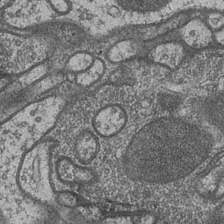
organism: Drosophila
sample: Optic medulla